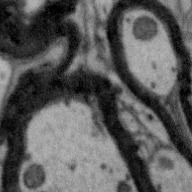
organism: Zebra finch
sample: Brain